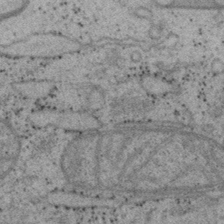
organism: Human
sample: HeLa cells